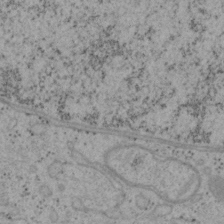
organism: Human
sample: HeLa cells